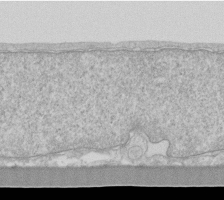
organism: Human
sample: Fibroblast cells